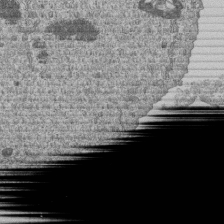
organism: Human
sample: MDA-MB-231 cells